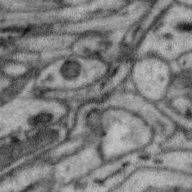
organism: Zebra finch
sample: Brain